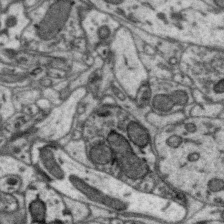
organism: Zebra finch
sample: Brain